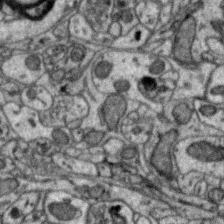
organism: Zebra finch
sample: Brain